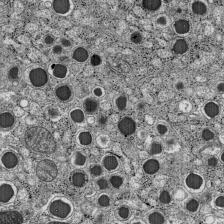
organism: C57BL Mouse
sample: Pancreatic islet